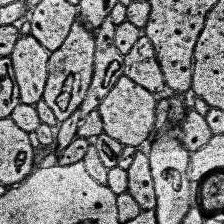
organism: Human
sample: Temporal Lobe